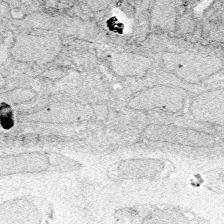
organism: Zebrafish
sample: Whole-Brain